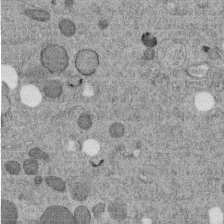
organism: C. elegans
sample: C. elegans embryo early stage